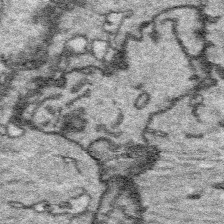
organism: Platynereis dumerilii